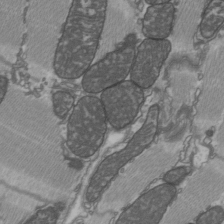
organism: C57BL Mouse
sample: Heart